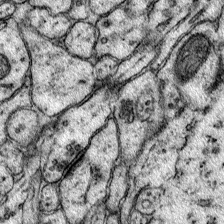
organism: Mouse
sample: Primary visual cortex